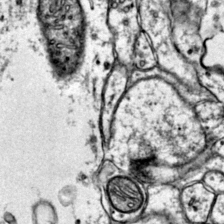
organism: Mouse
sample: Primary visual cortex